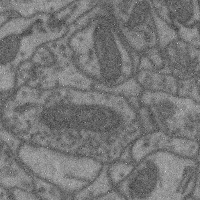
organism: Mouse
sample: Cerebral cortex